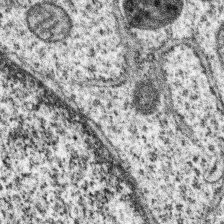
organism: Human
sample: HeLa cells